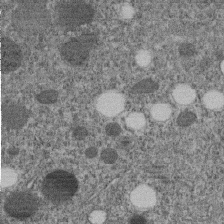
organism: C. elegans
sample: C. elegans embryo early stage